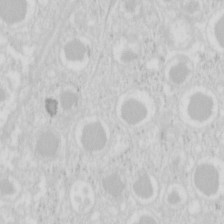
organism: Mouse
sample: Pancreas